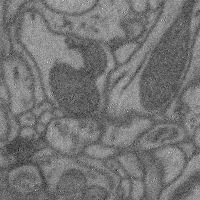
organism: Mouse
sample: Cerebral cortex